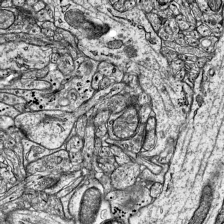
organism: Mouse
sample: Visual Cortex